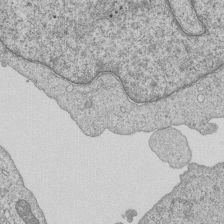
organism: Human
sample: MDA-MB-231 cells